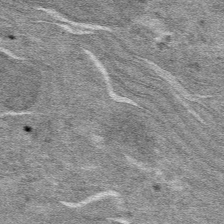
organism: Mouse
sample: Mouse hepatocytes